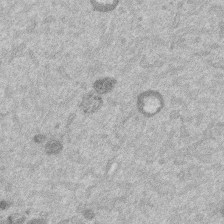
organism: Mouse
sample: Dividing mouse embryo 1 cell stage